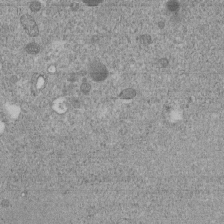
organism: C. elegans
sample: C. elegans embryo early stage